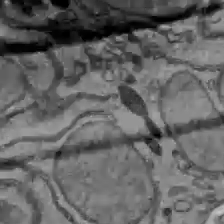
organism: C57BL Mouse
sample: Liver